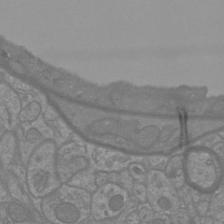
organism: Mouse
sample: Cortical neurons